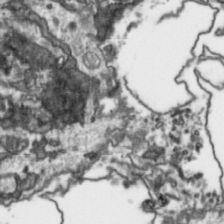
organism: Toxoplasma gondii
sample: Parasites in a vacuole inside a host cell